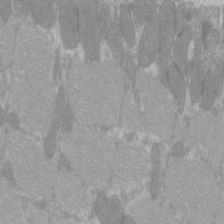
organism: C57BL Mouse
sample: Tibialis anterior muscle cell